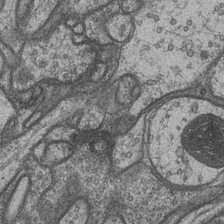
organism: Drosophila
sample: Optic medulla